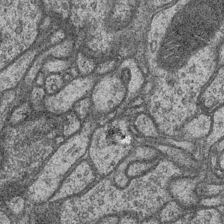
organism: Drosophila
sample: Optic medulla